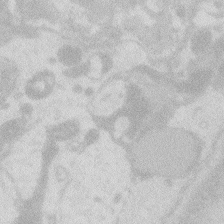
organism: Zebrafish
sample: Macrophage